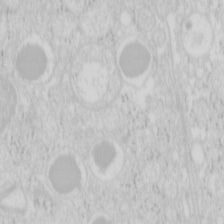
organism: Mouse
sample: Pancreas